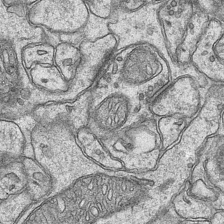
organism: Mouse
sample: CA1 Hippocampus